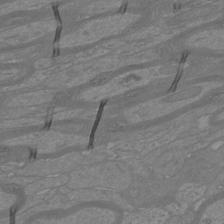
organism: Mouse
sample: Cortical neurons